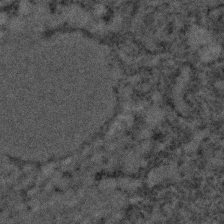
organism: C. elegans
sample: C. elegans embryo